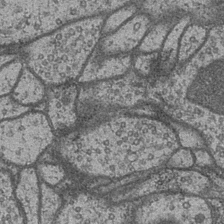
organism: Drosophila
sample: Optic medulla